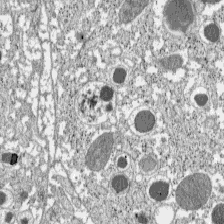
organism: C57BL Mouse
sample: Pancreatic islet